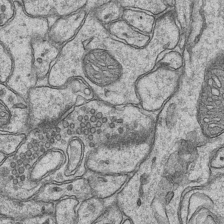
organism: Mouse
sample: CA1 Hippocampus